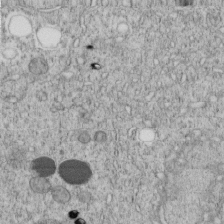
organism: C. elegans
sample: C. elegans embryo early stage